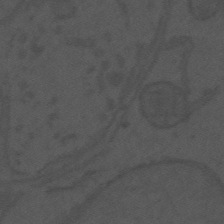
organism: Mouse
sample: Suprachiasmatic nucleus